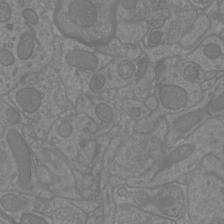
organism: Mouse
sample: Cortical neurons